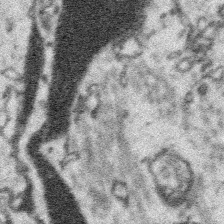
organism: Platynereis dumerilii